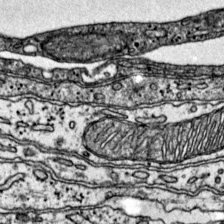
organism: Mouse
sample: Primary visual cortex